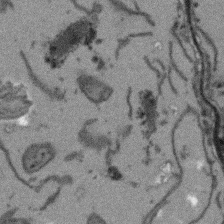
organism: Arabidopsis thaliana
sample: Root tip